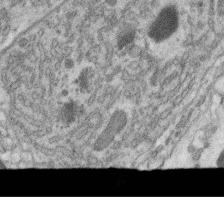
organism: C. elegans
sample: C. elegans oocyte; sperm cells